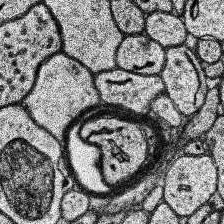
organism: Human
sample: Temporal Lobe